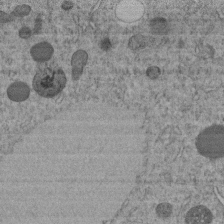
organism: C. elegans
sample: C. elegans embryo early stage